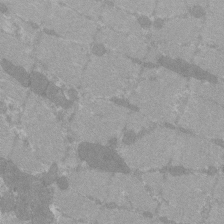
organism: C57BL Mouse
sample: Tibialis anterior muscle cell